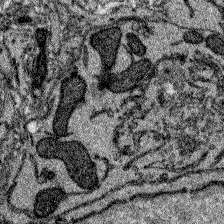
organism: Zebrafish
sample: Larval olfactory bulb